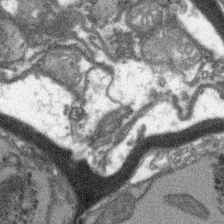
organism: Arabidopsis thaliana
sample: Root tip